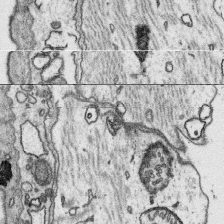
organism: Platynereis dumerilii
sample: Parapodia